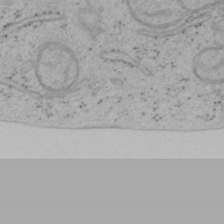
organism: Human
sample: HeLa cells